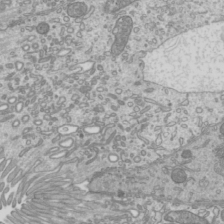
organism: Mouse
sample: Cilia; mouse epididymis